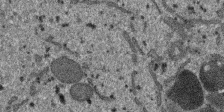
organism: Human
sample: Lung epithelial cells infected with SARS-CoV-2